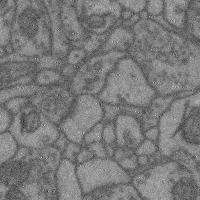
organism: Mouse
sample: Cerebral cortex